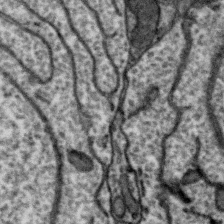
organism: Zebra finch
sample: Brain